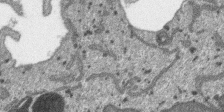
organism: Human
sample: Lung epithelial cells infected with SARS-CoV-2